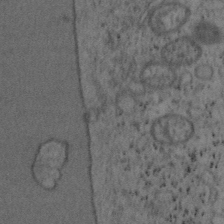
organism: Human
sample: HeLa cells